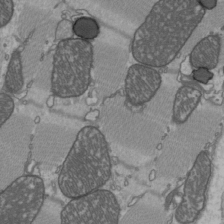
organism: C57BL Mouse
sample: Heart